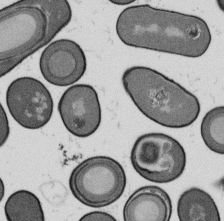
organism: B. subtilis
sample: Bacterial spore